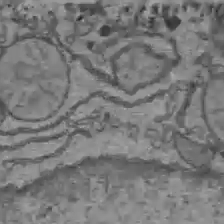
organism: C57BL Mouse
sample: Liver